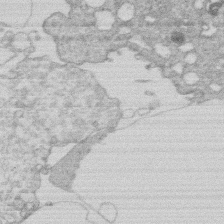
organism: Human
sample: Macrophage cells